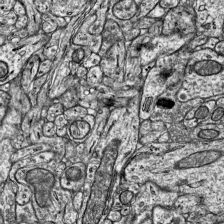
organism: Mouse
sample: Visual Cortex